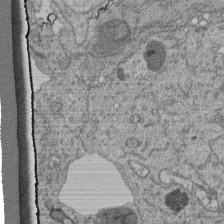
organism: Human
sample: Retinal organoid Rod and Cone cells